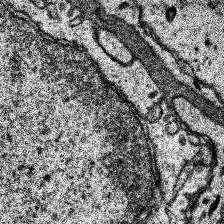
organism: Human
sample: Temporal Lobe